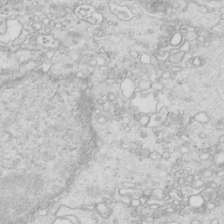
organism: Mouse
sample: Multiciliated cells